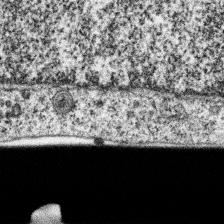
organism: Human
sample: HeLa cells